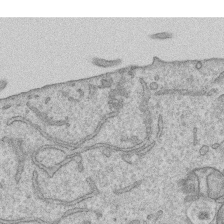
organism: Human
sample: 1205lu cells